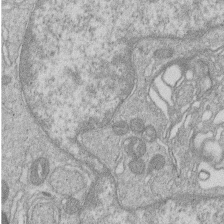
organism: Human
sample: Macrophage cells